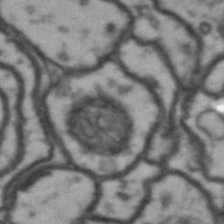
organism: Drosophila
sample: Brain